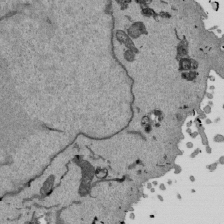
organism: Mouse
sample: ED-1 cell nuclei; centrioles